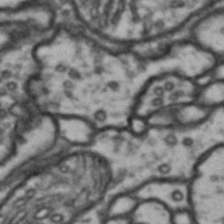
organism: Drosophila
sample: Brain